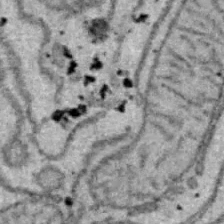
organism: Mouse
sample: Liver from an obese (ob/ob) mouse